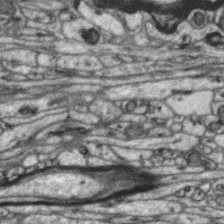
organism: Zebra finch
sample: Brain